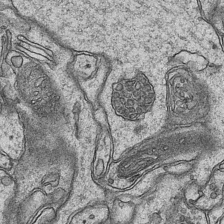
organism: Mouse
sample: CA1 Hippocampus